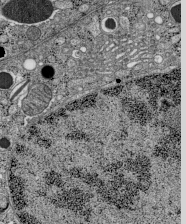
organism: C57BL Mouse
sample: Pancreatic islet